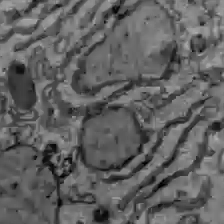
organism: C57BL Mouse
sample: Liver